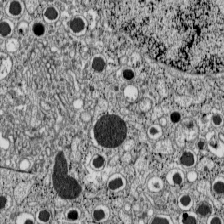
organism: C57BL Mouse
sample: Pancreatic islet